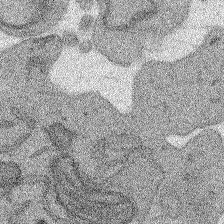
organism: Human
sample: HeLa cells